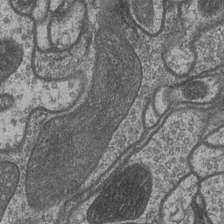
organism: Drosophila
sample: Optic medulla